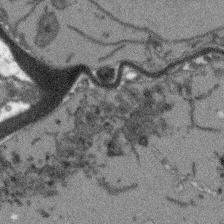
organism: Arabidopsis thaliana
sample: Root tip